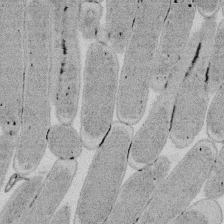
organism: E. coli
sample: Bacterial nucleoid